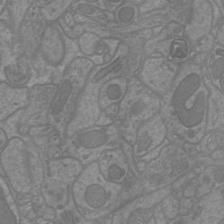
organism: Mouse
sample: Cortical neurons